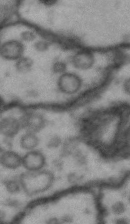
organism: Drosophila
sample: Brain